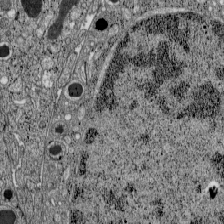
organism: C57BL Mouse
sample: Pancreatic islet